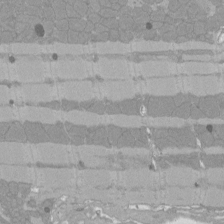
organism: Rat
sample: Left ventricle